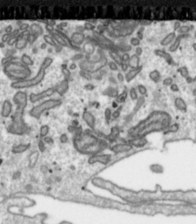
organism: Toxoplasma gondii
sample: Parasites in a vacuole inside a host cell